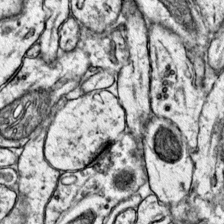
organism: Mouse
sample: Primary visual cortex